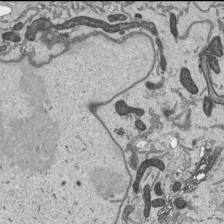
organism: Human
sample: Mitochondria in HCT116 cells